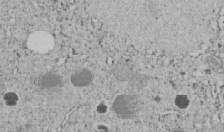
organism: C. elegans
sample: C. elegans embryo early stage